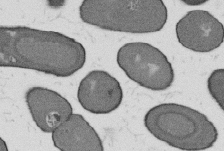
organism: B. subtilis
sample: Bacterial spore